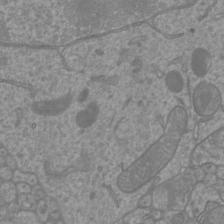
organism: Mouse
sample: Cortical neurons